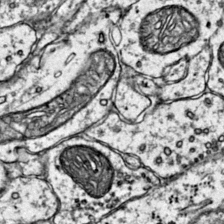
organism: Mouse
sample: Primary visual cortex